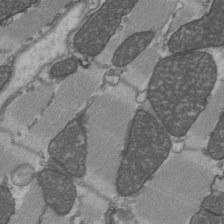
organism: C57BL Mouse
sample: Heart